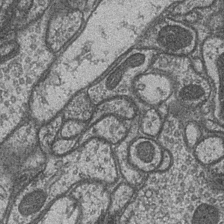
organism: Drosophila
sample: Optic medulla